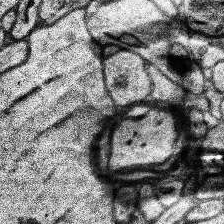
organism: Human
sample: Temporal Lobe